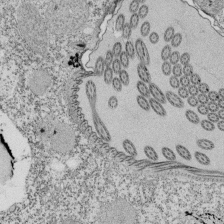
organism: Tetrahymena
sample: Cilia in tetrahymena